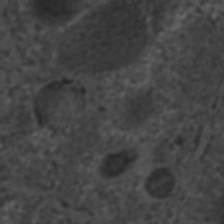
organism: C. elegans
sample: C. elegans embryo